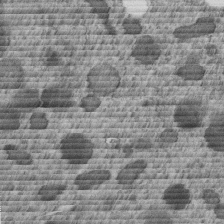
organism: C. elegans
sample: C. elegans embryo early stage